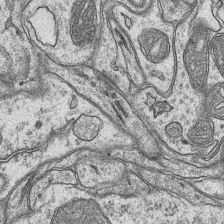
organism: Mouse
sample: CA1 Hippocampus